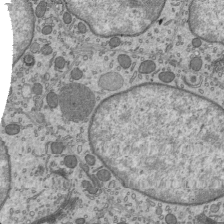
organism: Mouse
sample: Mouse epididymis efferent ductule cilia